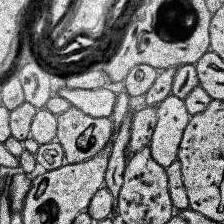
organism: Human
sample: Temporal Lobe